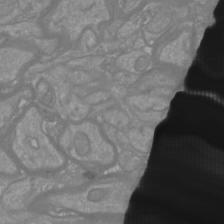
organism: Mouse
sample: Cortical neurons